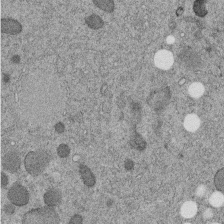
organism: C. elegans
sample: C. elegans embryo early stage